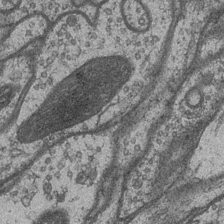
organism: Drosophila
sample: Optic medulla